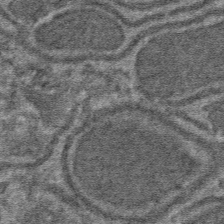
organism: Mouse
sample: Mouse hepatocytes